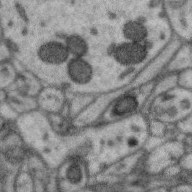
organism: Zebra finch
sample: Brain